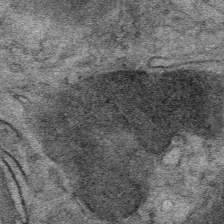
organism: Mouse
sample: Mouse Salivary gland